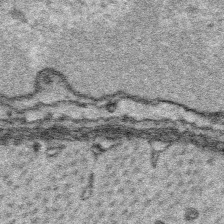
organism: Platynereis dumerilii